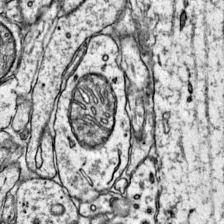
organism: Mouse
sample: Primary visual cortex